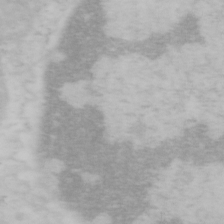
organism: Mouse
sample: OT-I killer T cells with ID8 ovarian cancer cells